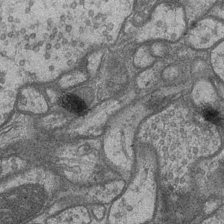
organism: Drosophila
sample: Optic medulla